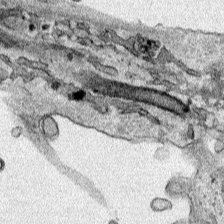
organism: Human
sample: Mitochondria in HCT116 cells